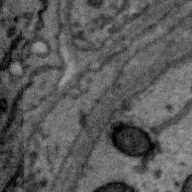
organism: Zebra finch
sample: Brain